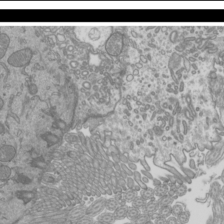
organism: Mouse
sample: Cilia; mouse epididymis